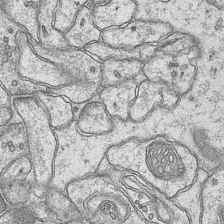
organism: Mouse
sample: CA1 Hippocampus